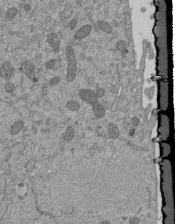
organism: Mouse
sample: ED-1 cell nuclei; centrioles